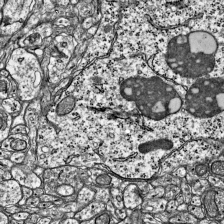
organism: Mouse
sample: Visual Cortex